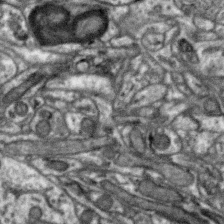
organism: Zebra finch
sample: Brain